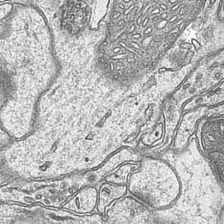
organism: Mouse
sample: CA1 Hippocampus